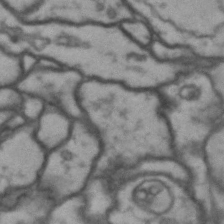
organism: Drosophila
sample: Brain